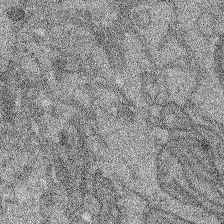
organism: Human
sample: HeLa cells